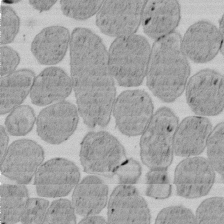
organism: E. coli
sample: Bacterial nucleoid